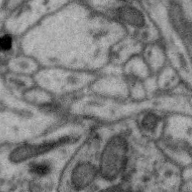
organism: Zebra finch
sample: Brain